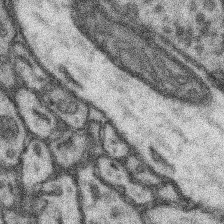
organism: Mouse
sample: Somatosensory cortex neuropil